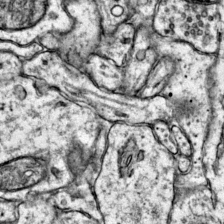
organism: Mouse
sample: Primary visual cortex